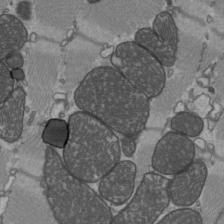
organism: C57BL Mouse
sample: Heart